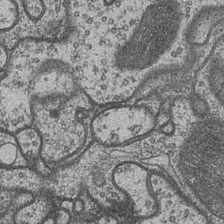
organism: Drosophila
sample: Optic medulla